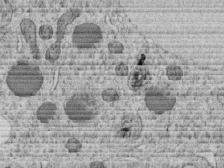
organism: C. elegans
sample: C. elegans embryo early stage